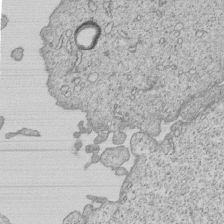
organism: Human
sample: MDA-MB-231 cells